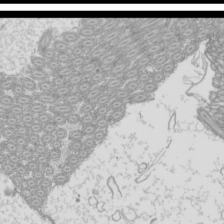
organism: Mouse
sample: Cilia; mouse epididymis